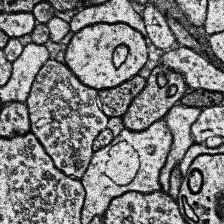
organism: Human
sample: Temporal Lobe